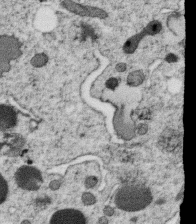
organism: C. elegans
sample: C. elegans oocyte; sperm cells